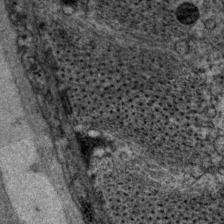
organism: P. pacificus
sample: Pharynx